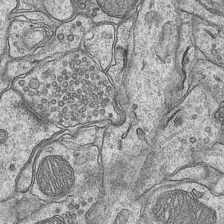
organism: Mouse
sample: CA1 Hippocampus